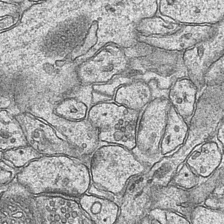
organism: Mouse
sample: CA1 Hippocampus